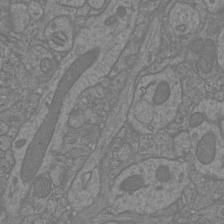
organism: Mouse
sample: Cortical neurons